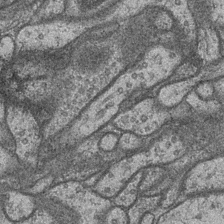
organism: Drosophila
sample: Optic medulla